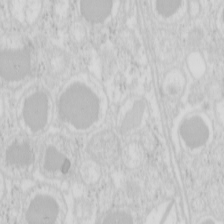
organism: Mouse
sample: Pancreas